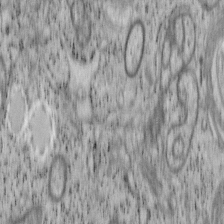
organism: Human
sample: HeLa cells